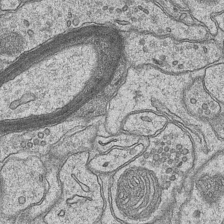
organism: Mouse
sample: CA1 Hippocampus